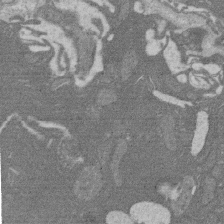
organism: Rat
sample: Salivary granule